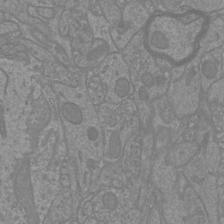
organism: Mouse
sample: Cortical neurons